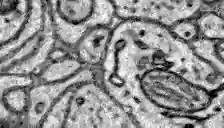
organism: Zebrafish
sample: Brain